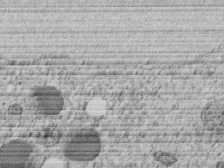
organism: C. elegans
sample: C. elegans embryo early stage